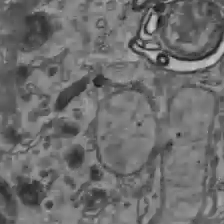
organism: C57BL Mouse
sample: Liver